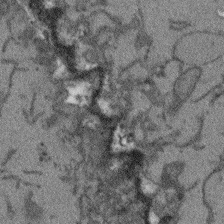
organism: Arabidopsis thaliana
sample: Root tip